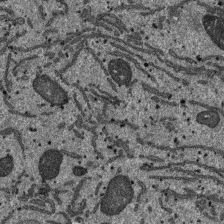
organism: Human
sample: Lung epithelial cells infected with SARS-CoV-2